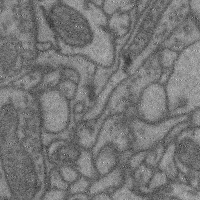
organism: Mouse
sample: Cerebral cortex